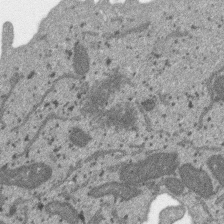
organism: Human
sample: Lung epithelial cells infected with SARS-CoV-2